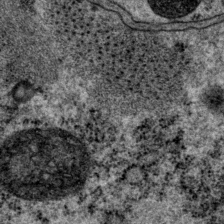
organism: P. pacificus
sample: Pharynx